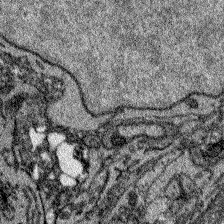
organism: Zebrafish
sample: Larval olfactory bulb